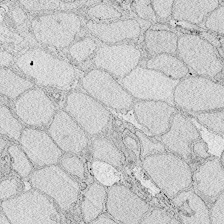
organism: Zebrafish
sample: Whole-Brain